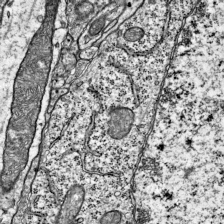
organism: Mouse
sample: Visual Cortex